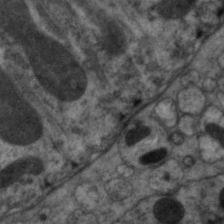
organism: C. elegans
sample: Pharynx